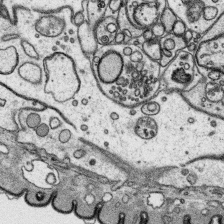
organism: Platynereis dumerilii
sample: Parapodia